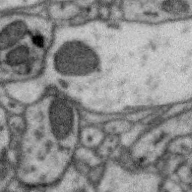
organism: Zebra finch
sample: Brain